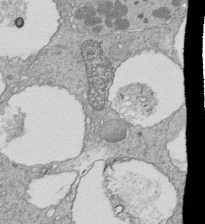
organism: Tetrahymena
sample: Cilia in tetrahymena